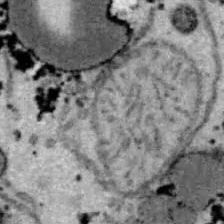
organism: Mouse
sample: Liver from an obese (ob/ob) mouse